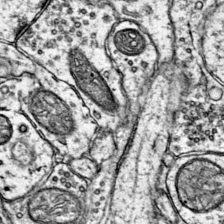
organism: Mouse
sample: Primary visual cortex